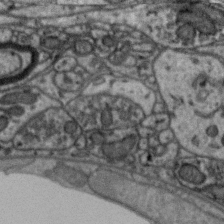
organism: Zebra finch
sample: Brain